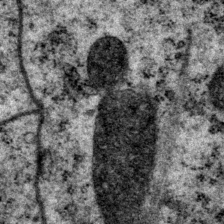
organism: P. pacificus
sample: Pharynx